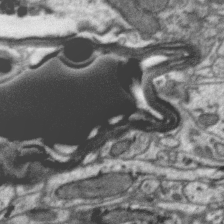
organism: Zebra finch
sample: Brain